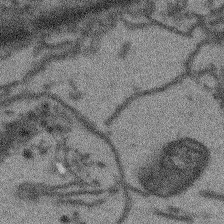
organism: Arabidopsis thaliana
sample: Root tip